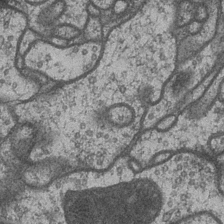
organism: Drosophila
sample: Optic medulla